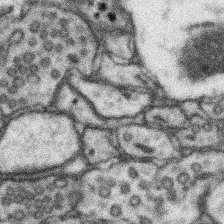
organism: Mouse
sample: Somatosensory cortex neuropil